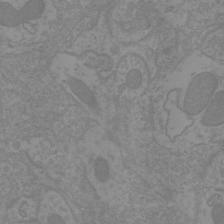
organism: Mouse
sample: Cortical neurons